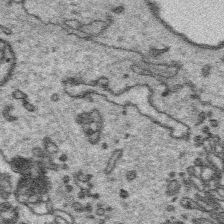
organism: Platynereis dumerilii